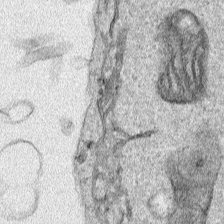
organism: Human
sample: Mitochondria in HCT116 cells